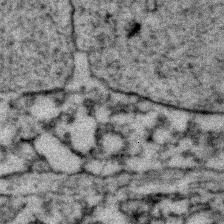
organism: Zebrafish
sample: Zebrafish embryo